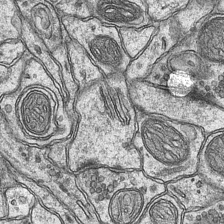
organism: Mouse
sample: CA1 Hippocampus